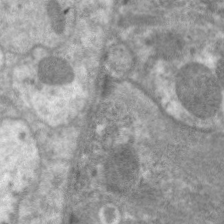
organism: C. elegans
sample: Pharynx